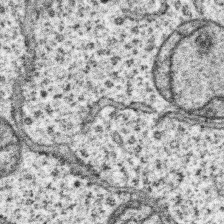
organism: Human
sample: HeLa cells